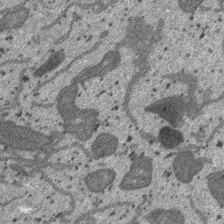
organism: Human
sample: Lung epithelial cells infected with SARS-CoV-2